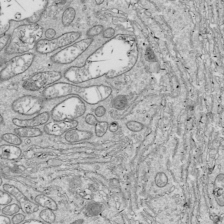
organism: Drosophila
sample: Cell division; meiosis; drosophila spermatocytes